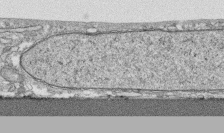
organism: Human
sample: CRL-1474